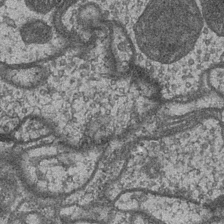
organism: Drosophila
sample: Optic medulla